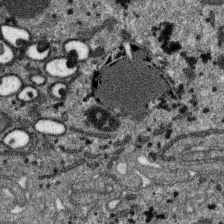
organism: Human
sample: Lung epithelial cells infected with SARS-CoV-2